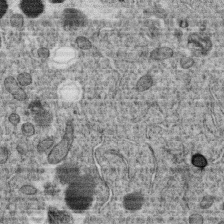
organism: C. elegans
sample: C. elegans oocyte; sperm cells